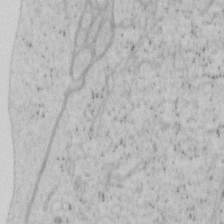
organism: Human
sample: HeLa cells